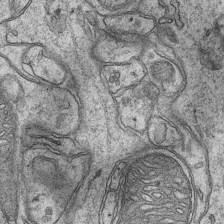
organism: Mouse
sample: CA1 Hippocampus